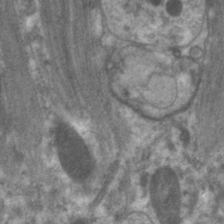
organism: C. elegans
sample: Pharynx